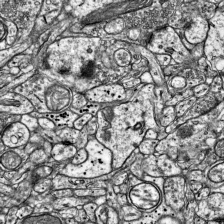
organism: Mouse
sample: Visual Cortex